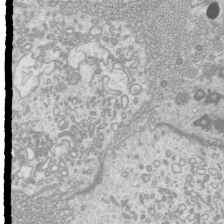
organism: Mouse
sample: Cilia; mouse epididymis